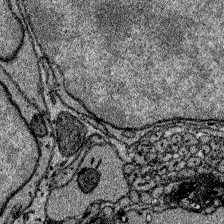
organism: Zebrafish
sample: Larval olfactory bulb